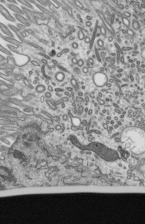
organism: Mouse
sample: Mouse epididymis efferent ductule cilia